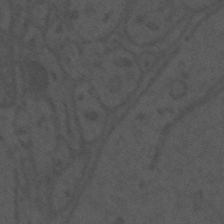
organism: Mouse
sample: Suprachiasmatic nucleus